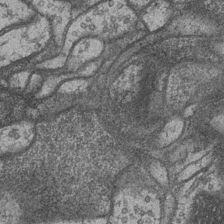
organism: Drosophila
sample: Optic medulla